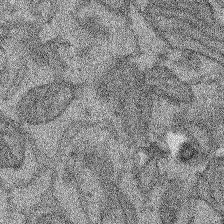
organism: Human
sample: HeLa cells